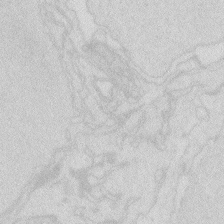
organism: Zebrafish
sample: Macrophage